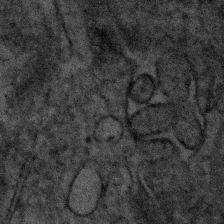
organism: Human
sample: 1205lu cells